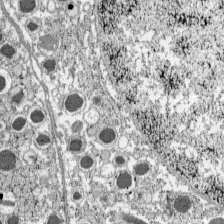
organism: C57BL Mouse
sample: Pancreatic islet